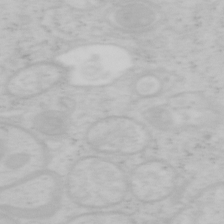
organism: Mouse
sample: OT-I killer T cells with ID8 ovarian cancer cells